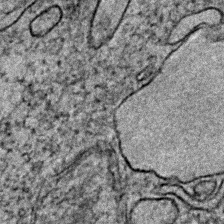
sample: Trachea